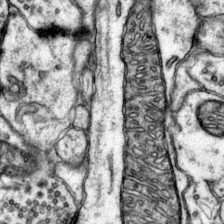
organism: Mouse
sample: Primary visual cortex